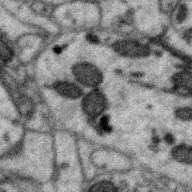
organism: Zebra finch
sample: Brain